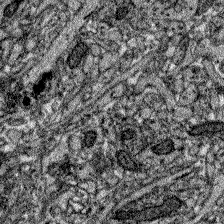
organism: Zebrafish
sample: Larval olfactory bulb